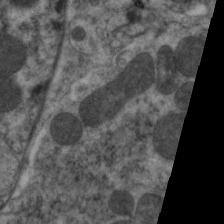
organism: C. elegans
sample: Pharynx